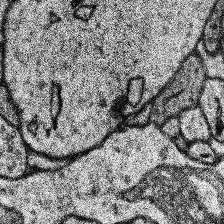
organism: Human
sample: Temporal Lobe